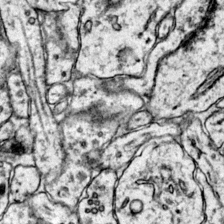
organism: Mouse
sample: Primary visual cortex